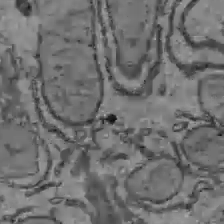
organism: C57BL Mouse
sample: Liver